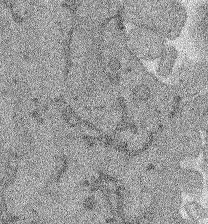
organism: Human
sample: HeLa cells